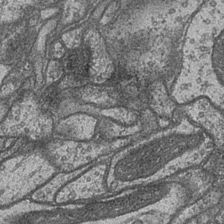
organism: Drosophila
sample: Optic medulla